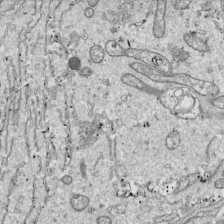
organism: Drosophila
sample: Cell division; meiosis; drosophila spermatocytes